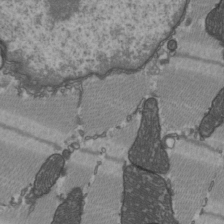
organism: C57BL Mouse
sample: Heart